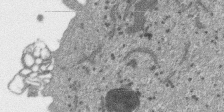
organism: Human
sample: Lung epithelial cells infected with SARS-CoV-2